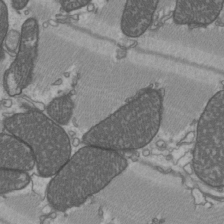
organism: C57BL Mouse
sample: Heart